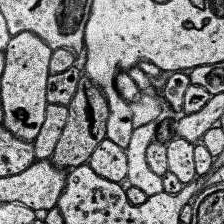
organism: Human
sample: Temporal Lobe